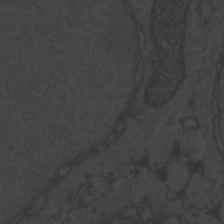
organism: Zebrafish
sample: Macrophage infected with Toxoplasma gondii